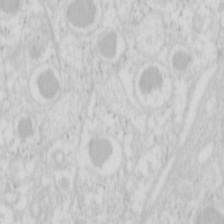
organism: Mouse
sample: Pancreas